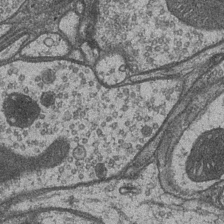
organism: Drosophila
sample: Optic medulla